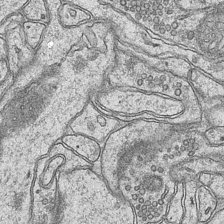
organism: Mouse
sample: CA1 Hippocampus